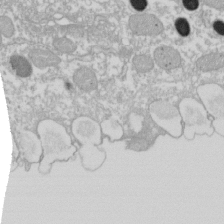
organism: Xenopus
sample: Cilia; centrioles in frog embryo cells